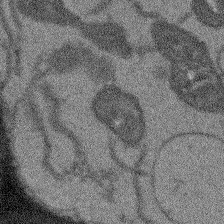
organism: Arabidopsis thaliana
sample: Root tip